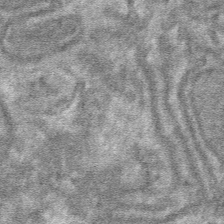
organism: Mouse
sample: Mouse hepatocytes